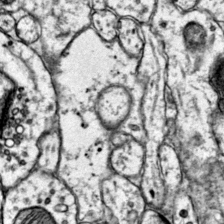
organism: Mouse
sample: Primary visual cortex